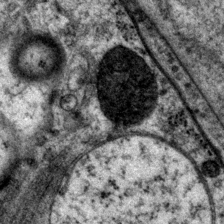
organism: P. pacificus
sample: Pharynx